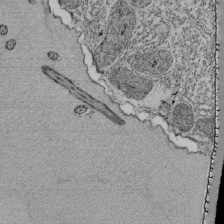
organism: Tetrahymena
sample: Cilia in tetrahymena